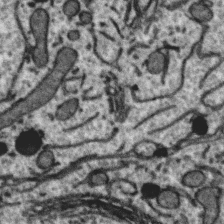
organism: Zebra finch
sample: Brain